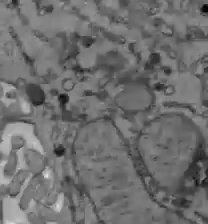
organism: C57BL Mouse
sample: Liver